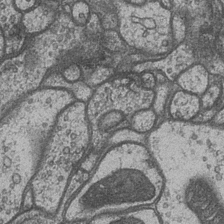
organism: Drosophila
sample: Optic medulla